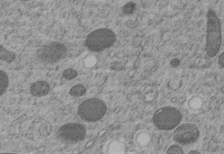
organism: C. elegans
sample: C. elegans embryo early stage